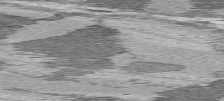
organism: C57BL Mouse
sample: Heart